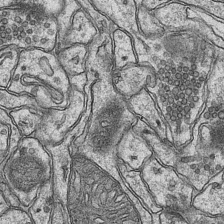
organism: Mouse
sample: CA1 Hippocampus